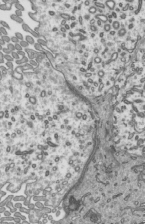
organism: Mouse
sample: Mouse epididymis efferent ductule cilia